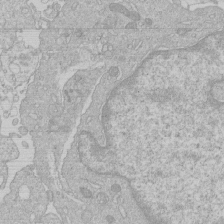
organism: Human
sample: Macrophage cells